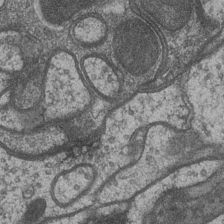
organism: Drosophila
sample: Optic medulla